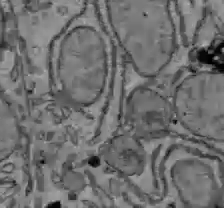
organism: C57BL Mouse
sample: Liver